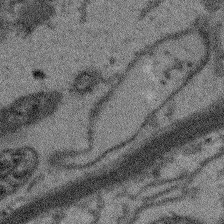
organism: Arabidopsis thaliana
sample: Root tip